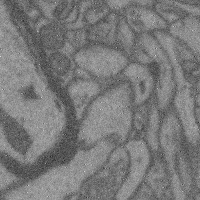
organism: Mouse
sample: Cerebral cortex